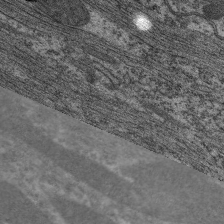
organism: C. elegans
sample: Pharynx